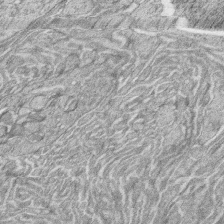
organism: Zebrafish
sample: synaptic ribbons in rod cells and cone cells